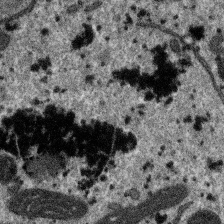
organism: Human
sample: Lung epithelial cells infected with SARS-CoV-2